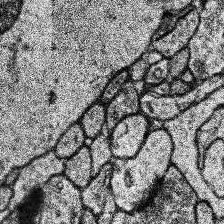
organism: Human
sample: Temporal Lobe